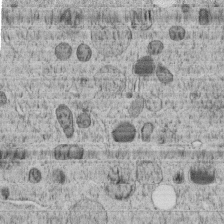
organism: C. elegans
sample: C. elegans embryo early stage